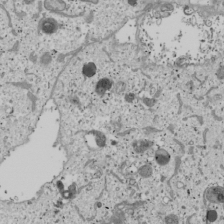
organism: Human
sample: Mitochondria in U2OS cells